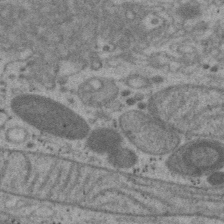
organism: Human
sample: HeLa cells